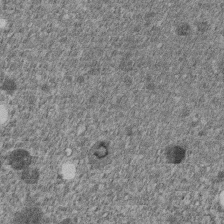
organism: C. elegans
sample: C. elegans embryo early stage